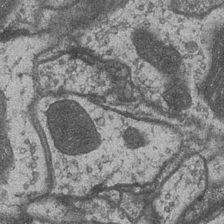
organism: Drosophila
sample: Optic medulla